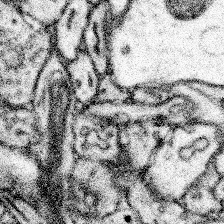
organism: Mouse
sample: Somatosensory cortex neuropil